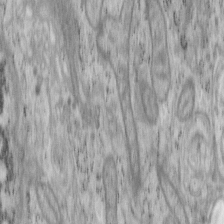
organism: Human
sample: HeLa cells